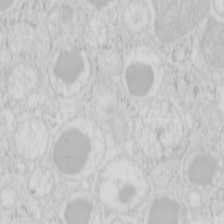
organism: Mouse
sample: Pancreas